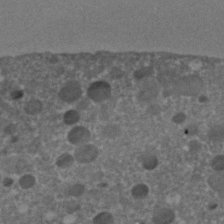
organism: C. elegans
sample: C. elegans embryo